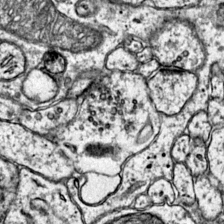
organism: Mouse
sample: Primary visual cortex